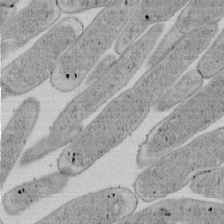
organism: E. coli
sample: Bacterial nucleoid